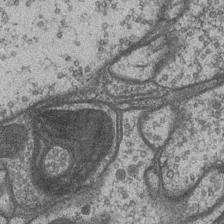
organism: Drosophila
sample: Optic medulla